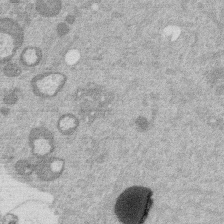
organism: Mouse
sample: Dividing mouse embryo 1 cell stage